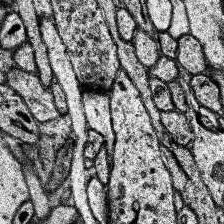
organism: Human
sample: Temporal Lobe